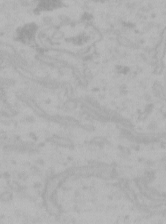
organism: Mouse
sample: Choroid plexus